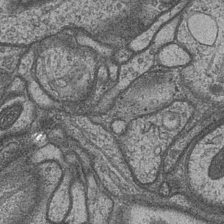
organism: Drosophila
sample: Optic medulla